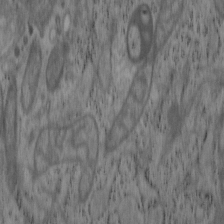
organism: Human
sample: HeLa cells